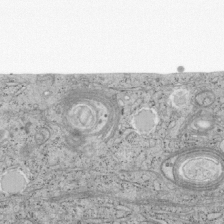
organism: Human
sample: HeLa cells